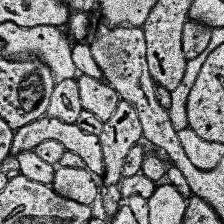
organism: Human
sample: Temporal Lobe